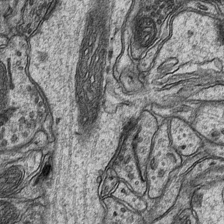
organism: Mouse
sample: CA1 Hippocampus